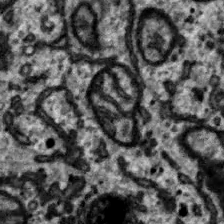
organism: Human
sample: HeLa cells